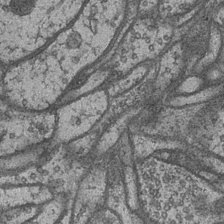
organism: Drosophila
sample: Optic medulla